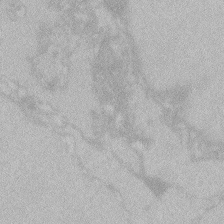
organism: Zebrafish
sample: Macrophage infected with Toxoplasma gondii